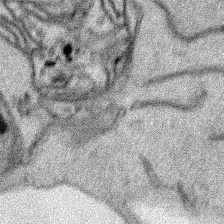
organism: Human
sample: Mitochondria in HCT116 cells